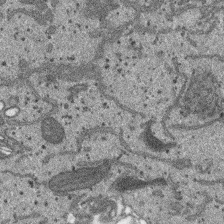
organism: Human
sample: Lung epithelial cells infected with SARS-CoV-2